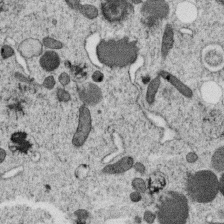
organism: C. elegans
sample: C. elegans oocyte; sperm cells